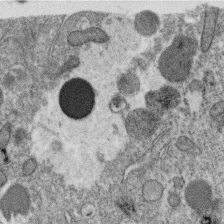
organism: C. elegans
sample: C. elegans oocyte; sperm cells